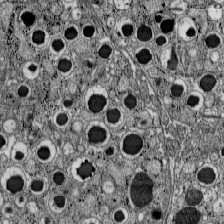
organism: C57BL Mouse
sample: Pancreatic islet